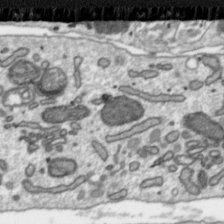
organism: Toxoplasma gondii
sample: Parasites in a vacuole inside a host cell